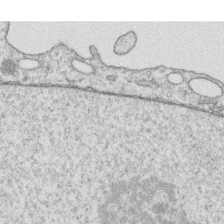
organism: Human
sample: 1205lu cells